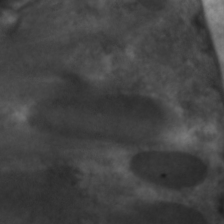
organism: C. elegans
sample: Pharynx